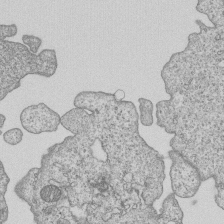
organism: Human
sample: MDA-MB-231 cells